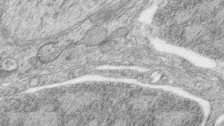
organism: Zebrafish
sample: synaptic ribbons in rod cells and cone cells